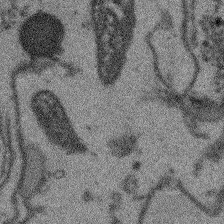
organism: Arabidopsis thaliana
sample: Root tip